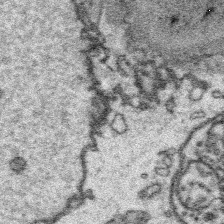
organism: Platynereis dumerilii